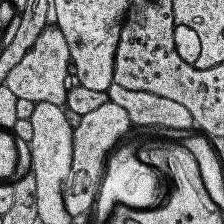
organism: Human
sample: Temporal Lobe